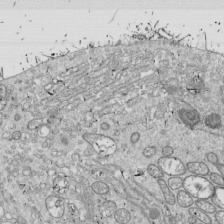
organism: Drosophila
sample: Cell division; meiosis; drosophila spermatocytes